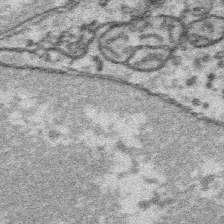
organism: Platynereis dumerilii